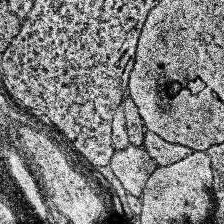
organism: Human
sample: Temporal Lobe